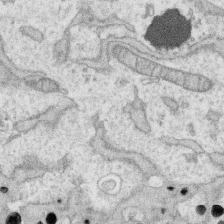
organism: Human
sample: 1205lu cells